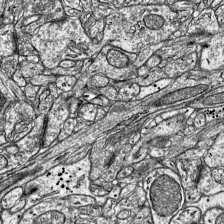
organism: Mouse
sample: Visual Cortex